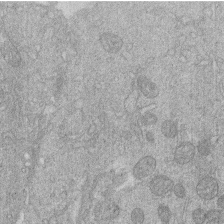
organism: Human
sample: Macrophage cells